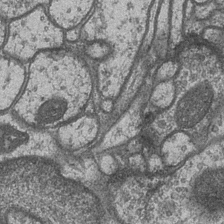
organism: Drosophila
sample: Optic medulla